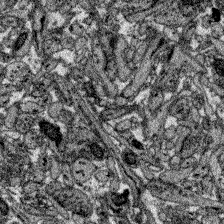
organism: Zebrafish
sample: Larval olfactory bulb